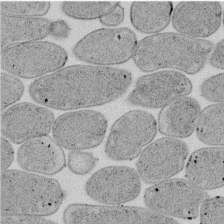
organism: E. coli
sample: Bacterial nucleoid